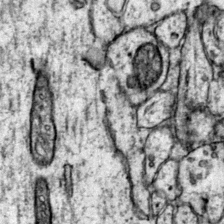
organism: Mouse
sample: Primary visual cortex